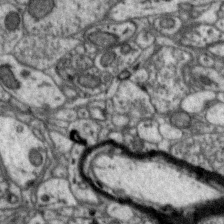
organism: Zebra finch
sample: Brain